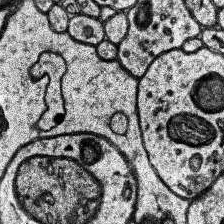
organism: Human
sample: Temporal Lobe